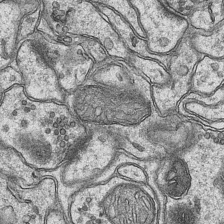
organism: Mouse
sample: CA1 Hippocampus